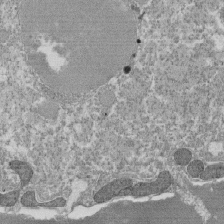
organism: Tetrahymena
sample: Cilia in tetrahymena